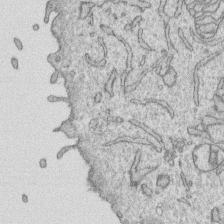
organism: Human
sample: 1205lu cells